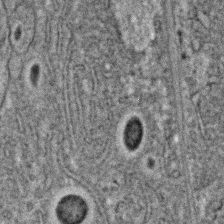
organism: C. elegans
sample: C. elegans embryo